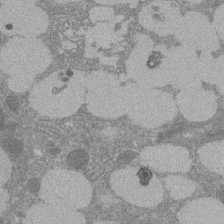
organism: Rat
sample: Salivary granule